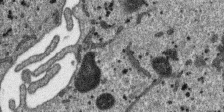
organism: Human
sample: Lung epithelial cells infected with SARS-CoV-2